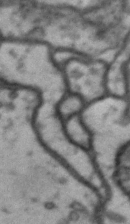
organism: Drosophila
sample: Brain